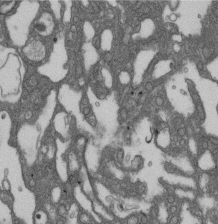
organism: Drosophila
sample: Nephrocyte